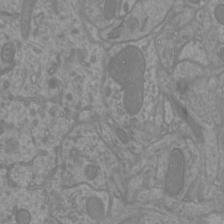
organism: Mouse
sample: Cortical neurons